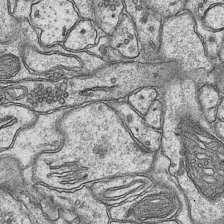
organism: Mouse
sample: CA1 Hippocampus